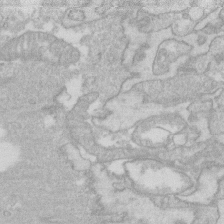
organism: Human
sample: Fibroblast cells